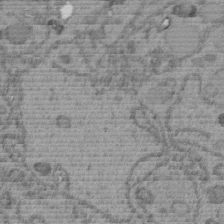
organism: C. elegans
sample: C. elegans embryo early stage